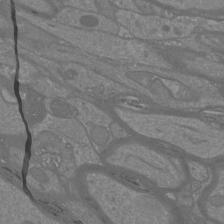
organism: Mouse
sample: Cortical neurons